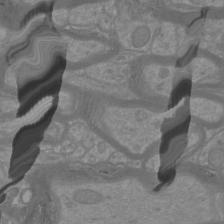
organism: Mouse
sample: Cortical neurons